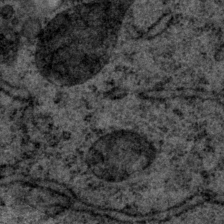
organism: P. pacificus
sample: Pharynx